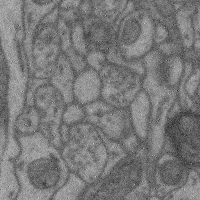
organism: Mouse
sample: Cerebral cortex